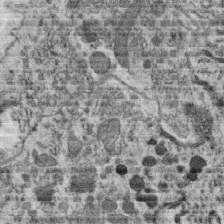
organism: C. elegans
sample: C. elegans oocyte; sperm cells